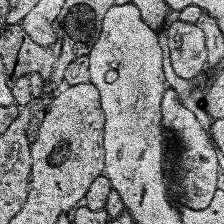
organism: Human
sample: Temporal Lobe